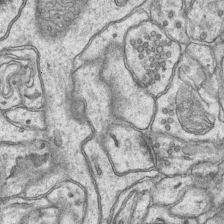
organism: Mouse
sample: CA1 Hippocampus